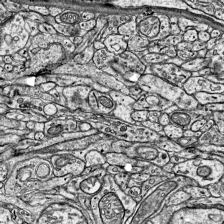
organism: Mouse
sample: Visual Cortex